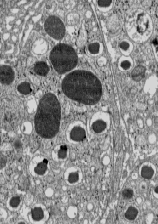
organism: C57BL Mouse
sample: Pancreatic islet